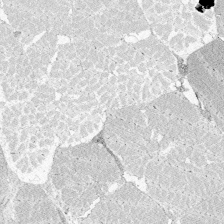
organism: Zebrafish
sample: Whole-Brain